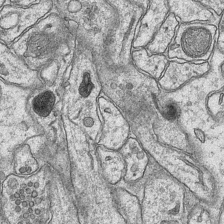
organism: Mouse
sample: CA1 Hippocampus